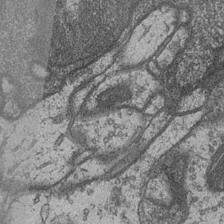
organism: Drosophila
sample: Optic medulla